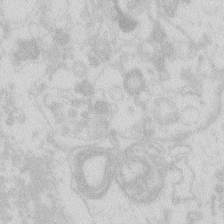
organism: Zebrafish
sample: Macrophage